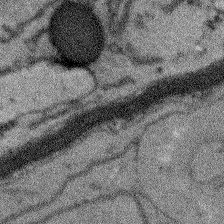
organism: Arabidopsis thaliana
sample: Root tip